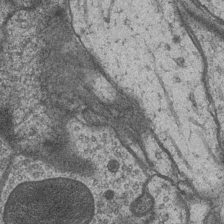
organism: Drosophila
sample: Optic medulla